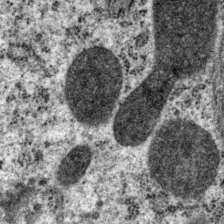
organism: P. pacificus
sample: Pharynx